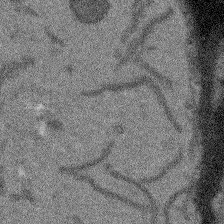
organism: Arabidopsis thaliana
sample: Root tip